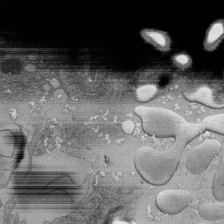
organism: Human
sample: Retinal organoid Rod and Cone cells